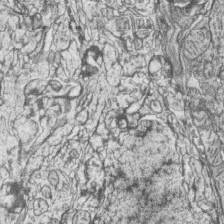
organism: Zebrafish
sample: synaptic ribbons in rod cells and cone cells